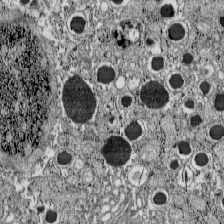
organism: C57BL Mouse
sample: Pancreatic islet